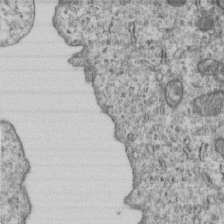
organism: Human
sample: MDA-MB-231 cells